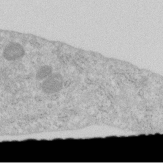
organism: Human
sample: Centriole in RPE cells